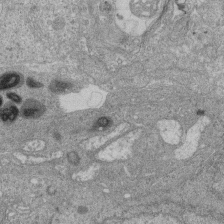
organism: Human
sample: Retinal organoid Rod and Cone cells